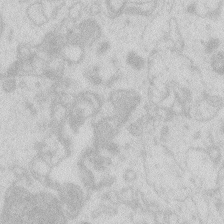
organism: Zebrafish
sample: Macrophage